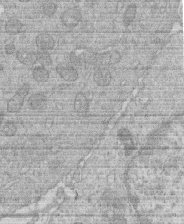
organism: Human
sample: Macrophage cells